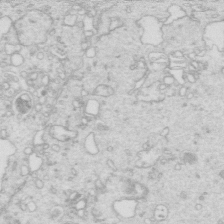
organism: Mouse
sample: Multiciliated cells